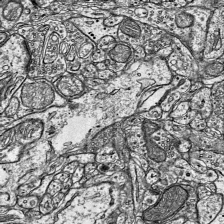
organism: Mouse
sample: Visual Cortex